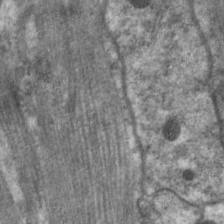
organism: C. elegans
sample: Pharynx